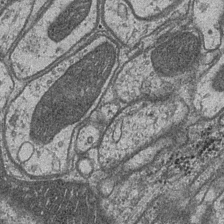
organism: Drosophila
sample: Optic medulla